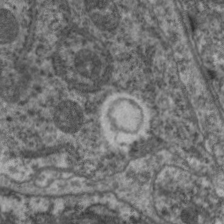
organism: C. elegans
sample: Pharynx